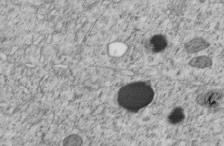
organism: C. elegans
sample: C. elegans embryo early stage